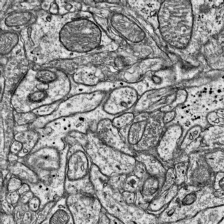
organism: Mouse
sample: Visual Cortex